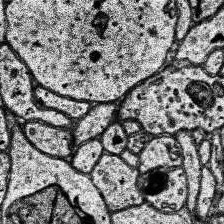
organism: Human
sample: Temporal Lobe